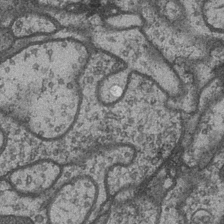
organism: Drosophila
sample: Optic medulla